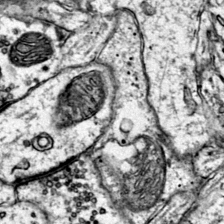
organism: Mouse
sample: Primary visual cortex